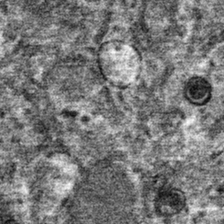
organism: Mouse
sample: Mouse hepatocytes